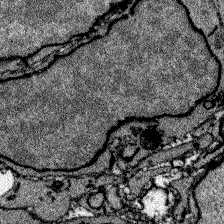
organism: Zebrafish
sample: Larval olfactory bulb